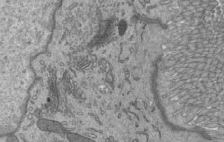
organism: Mouse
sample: Mouse epididymis efferent ductule cilia